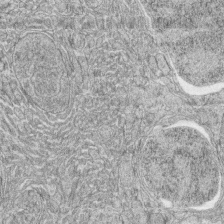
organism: Zebrafish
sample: synaptic ribbons in rod cells and cone cells